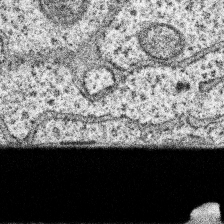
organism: Human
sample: HeLa cells